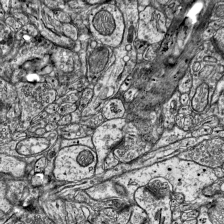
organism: Mouse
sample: Visual Cortex